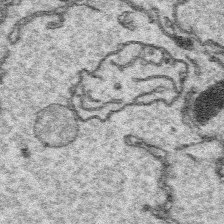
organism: Platynereis dumerilii